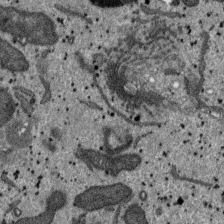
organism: Human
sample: Lung epithelial cells, uninfected (mock) control